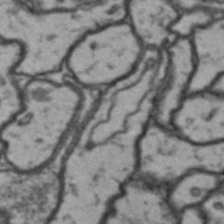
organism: Drosophila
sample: Brain